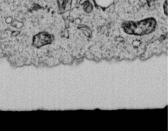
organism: C. elegans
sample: C. elegans embryo early stage